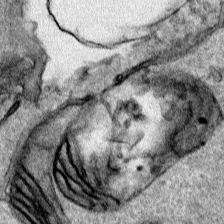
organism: Human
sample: Mitochondria in HCT116 cells